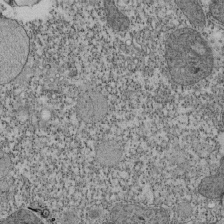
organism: Tetrahymena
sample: Cilia in tetrahymena